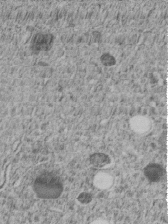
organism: C. elegans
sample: C. elegans embryo early stage